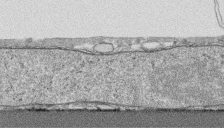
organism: Human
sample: CRL-1474